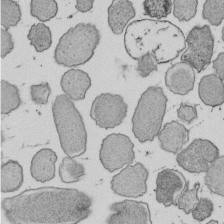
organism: E. coli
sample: Bacterial nucleoid